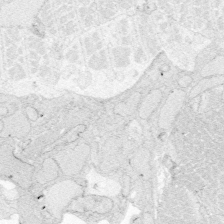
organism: Zebrafish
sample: Whole-Brain